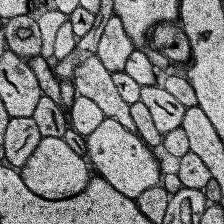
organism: Human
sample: Temporal Lobe